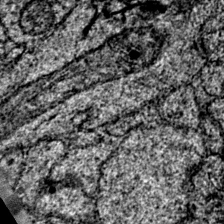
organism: Mouse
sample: Primary visual cortex